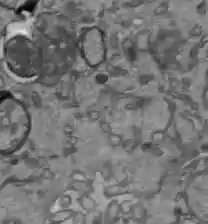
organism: C57BL Mouse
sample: Liver